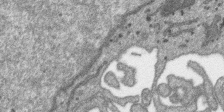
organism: Human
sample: Lung epithelial cells infected with SARS-CoV-2